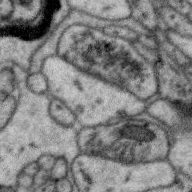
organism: Zebra finch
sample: Brain